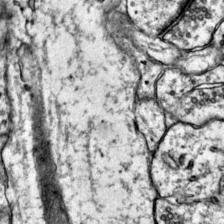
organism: Mouse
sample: Primary visual cortex